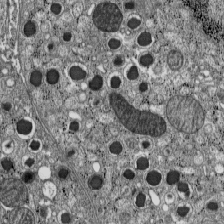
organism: C57BL Mouse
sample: Pancreatic islet